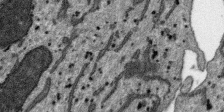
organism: Human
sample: Lung epithelial cells, uninfected (mock) control